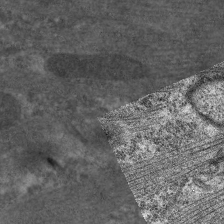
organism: C. elegans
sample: Pharynx